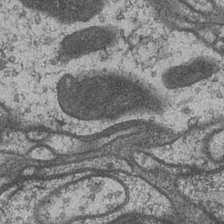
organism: Drosophila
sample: Optic medulla